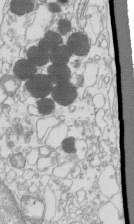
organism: Mouse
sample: Macrophages